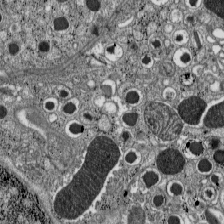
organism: C57BL Mouse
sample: Pancreatic islet